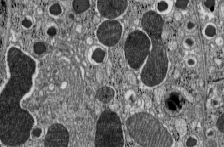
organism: C57BL Mouse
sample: Pancreatic islet